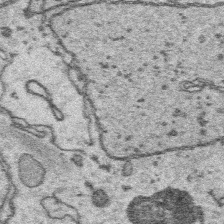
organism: Platynereis dumerilii